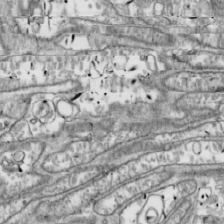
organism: Drosophila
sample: Cell division; meiosis; drosophila spermatocytes